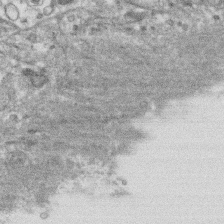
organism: Human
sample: CRL-1474